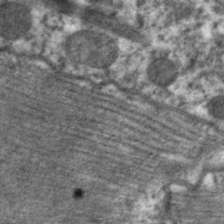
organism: C. elegans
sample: Pharynx